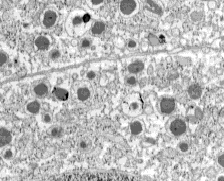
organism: C57BL Mouse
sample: Pancreatic islet